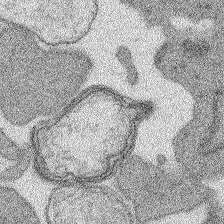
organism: Human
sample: HeLa cells